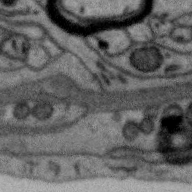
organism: Zebra finch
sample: Brain